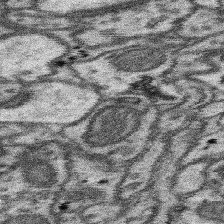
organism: Mouse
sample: Somatosensory cortex neuropil